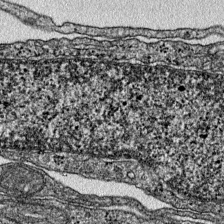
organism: Mouse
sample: Primary visual cortex